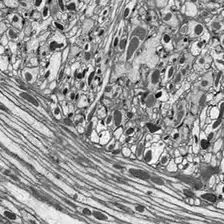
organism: Drosophila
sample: Optic lobe